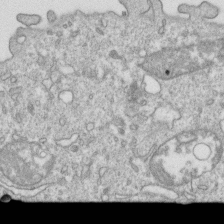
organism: Mouse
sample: Activated OT-1 CD8+ T cells